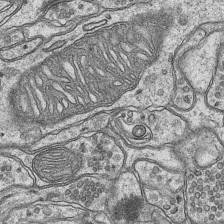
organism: Mouse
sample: CA1 Hippocampus